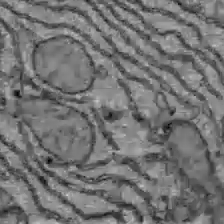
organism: C57BL Mouse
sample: Liver